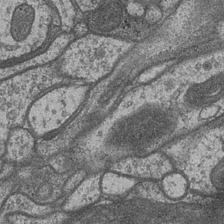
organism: Drosophila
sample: Optic medulla